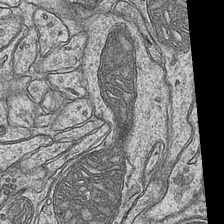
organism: Mouse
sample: CA1 Hippocampus